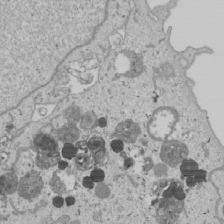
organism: Human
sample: Mitochondria in U2OS cells